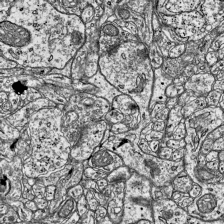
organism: Mouse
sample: Visual Cortex